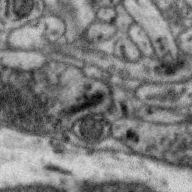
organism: Zebra finch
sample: Brain